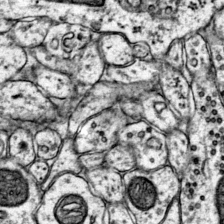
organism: Mouse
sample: Primary visual cortex